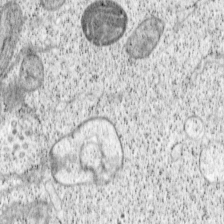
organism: African green monkey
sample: COS-7 cells